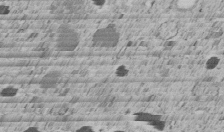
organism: C. elegans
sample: C. elegans embryo early stage